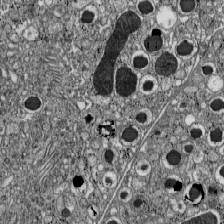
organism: C57BL Mouse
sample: Pancreatic islet